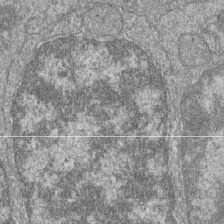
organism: Zebrafish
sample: Cilia; retinal pigment epithelium